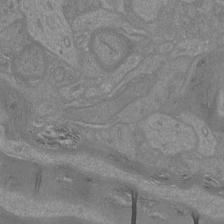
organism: Mouse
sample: Cortical neurons